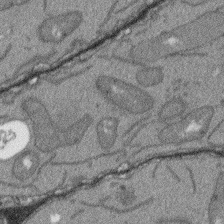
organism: Arabidopsis thaliana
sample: Root tip